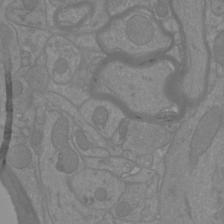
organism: Mouse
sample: Cortical neurons